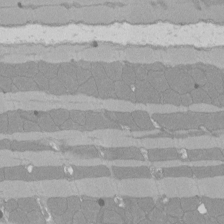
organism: Rat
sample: Left ventricle